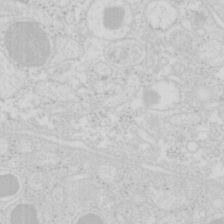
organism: Mouse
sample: Pancreas